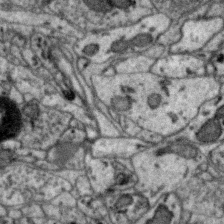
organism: Zebra finch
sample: Brain